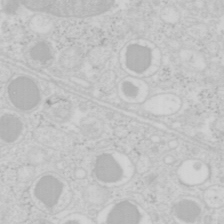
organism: Mouse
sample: Pancreas